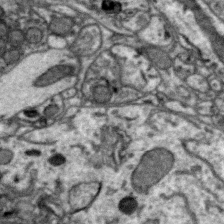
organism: Zebra finch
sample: Brain